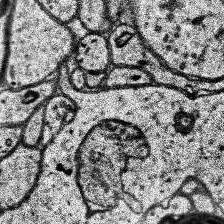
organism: Human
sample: Temporal Lobe